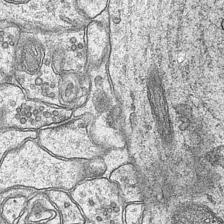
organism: Mouse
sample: CA1 Hippocampus